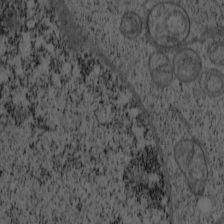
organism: African green monkey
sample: COS-7 cells